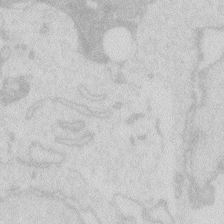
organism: Zebrafish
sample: Macrophage